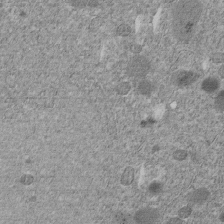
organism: C. elegans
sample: C. elegans embryo early stage